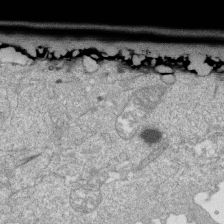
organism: Human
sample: HeLa cell HIV synapse